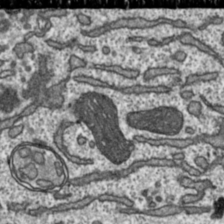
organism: Toxoplasma gondii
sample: Parasites in a vacuole inside a host cell